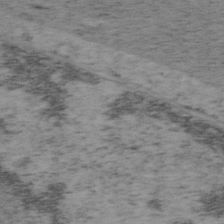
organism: Mouse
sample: OT-I killer T cells with ID8 ovarian cancer cells